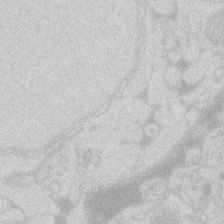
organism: Zebrafish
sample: Macrophage